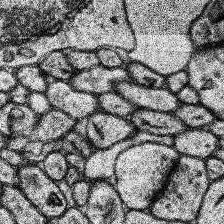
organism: Human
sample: Temporal Lobe